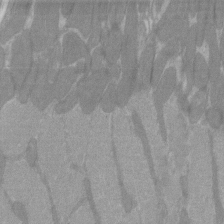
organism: C57BL Mouse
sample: Tibialis anterior muscle cell